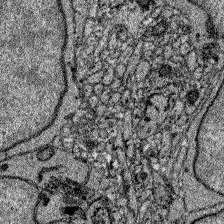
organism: Zebrafish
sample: Larval olfactory bulb